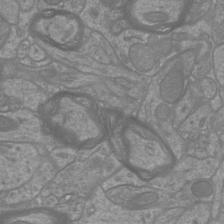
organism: Mouse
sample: Cortical neurons